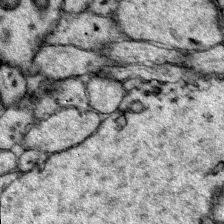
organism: Mouse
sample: Primary visual cortex